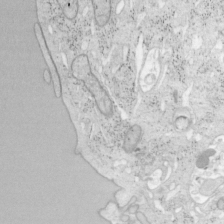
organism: Mouse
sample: OT-I killer T cells with ID8 ovarian cancer cells